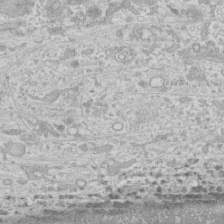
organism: Human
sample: CRL-1474